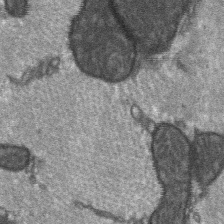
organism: C57BL Mouse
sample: Soleus